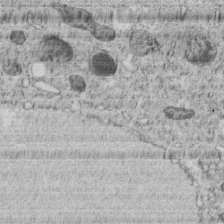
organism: C. elegans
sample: C. elegans embryo early stage